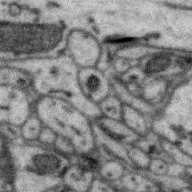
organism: Zebra finch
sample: Brain